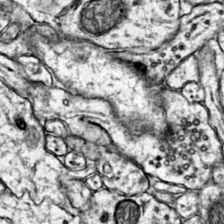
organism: Mouse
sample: Primary visual cortex